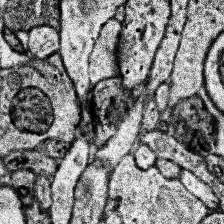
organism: Human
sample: Temporal Lobe